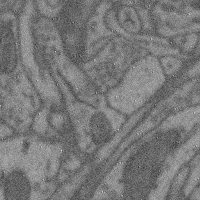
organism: Mouse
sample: Cerebral cortex